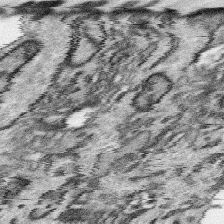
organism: Human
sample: HeLa cells